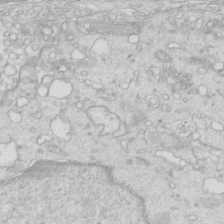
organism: Mouse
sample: Multiciliated cells